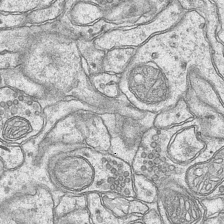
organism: Mouse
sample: CA1 Hippocampus